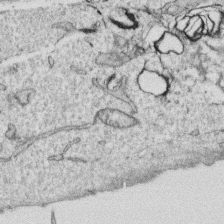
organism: Human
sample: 1205lu cells